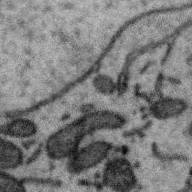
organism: Zebra finch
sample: Brain